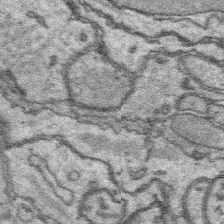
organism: Platynereis dumerilii